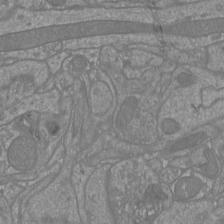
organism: Mouse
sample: Cortical neurons